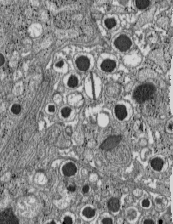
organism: C57BL Mouse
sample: Pancreatic islet